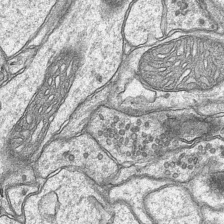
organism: Mouse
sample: CA1 Hippocampus